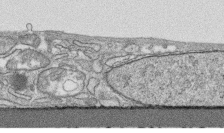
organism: Human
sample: CRL-1474